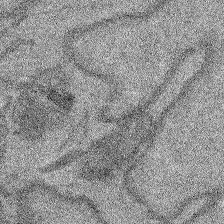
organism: Human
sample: HeLa cells